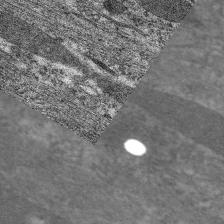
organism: C. elegans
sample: Pharynx